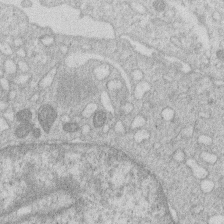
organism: Human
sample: Macrophage cells